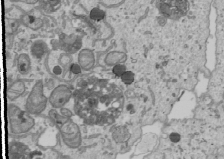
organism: Human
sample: Mitochondria in U2OS cells